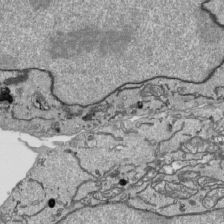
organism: Human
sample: Mitochondria in HCT116 cells